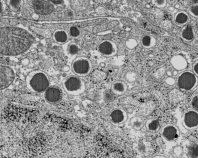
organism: C57BL Mouse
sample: Pancreatic islet